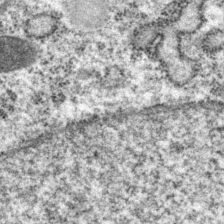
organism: P. pacificus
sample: Pharynx